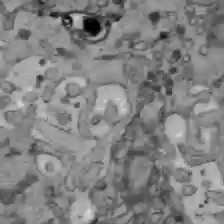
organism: C57BL Mouse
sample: Liver